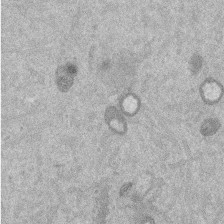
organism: Mouse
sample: Dividing mouse embryo 1 cell stage